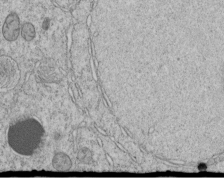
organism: C. elegans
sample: C. elegans embryo early stage